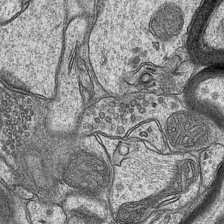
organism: Mouse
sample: CA1 Hippocampus